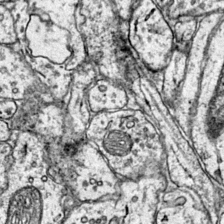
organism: Mouse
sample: Primary visual cortex